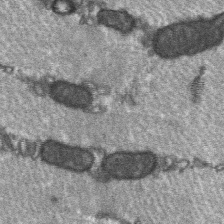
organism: C57BL Mouse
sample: Soleus